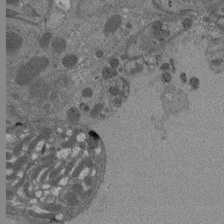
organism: Drosophila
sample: Antenna